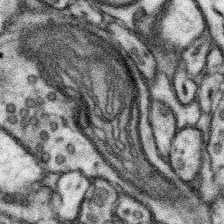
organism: Mouse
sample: Somatosensory cortex neuropil